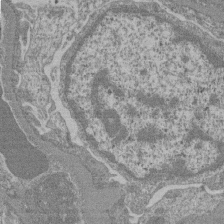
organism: Mouse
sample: Glomerulus